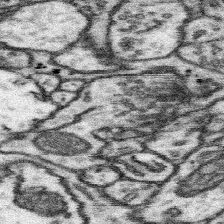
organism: Mouse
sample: Somatosensory cortex neuropil